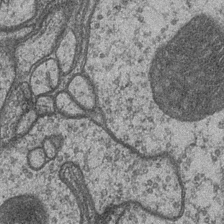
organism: Drosophila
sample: Optic medulla